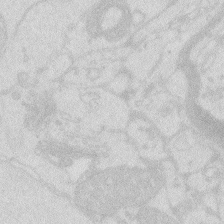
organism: Zebrafish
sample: Macrophage